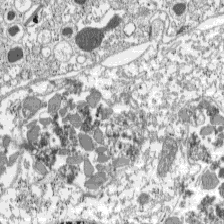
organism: C57BL Mouse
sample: Pancreatic islet